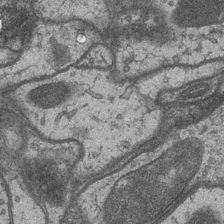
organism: Drosophila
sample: Optic medulla